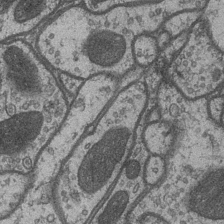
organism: Drosophila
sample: Optic medulla